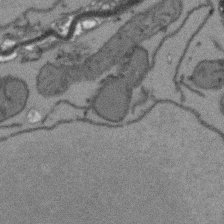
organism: Arabidopsis thaliana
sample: Root tip